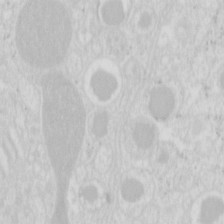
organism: Mouse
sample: Pancreas